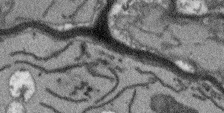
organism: Arabidopsis thaliana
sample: Root tip